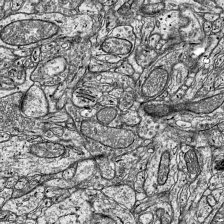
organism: Mouse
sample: Visual Cortex